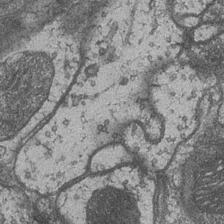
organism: Drosophila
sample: Optic medulla